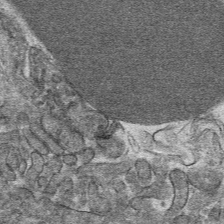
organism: Mouse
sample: Mouse hepatocytes